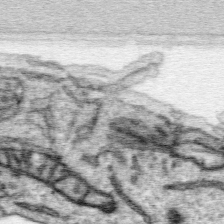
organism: Human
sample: HeLa cells